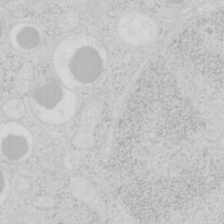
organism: Mouse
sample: Pancreas